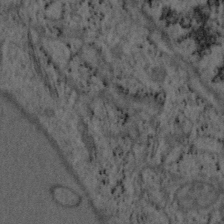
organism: Human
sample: HeLa cells